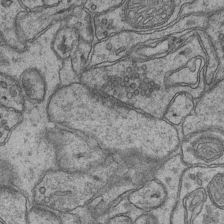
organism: Mouse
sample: CA1 Hippocampus